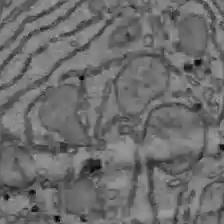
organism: C57BL Mouse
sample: Liver